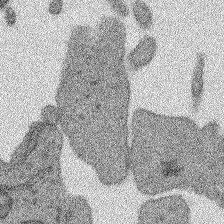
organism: Human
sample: HeLa cells